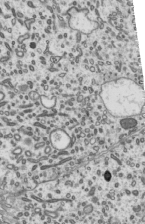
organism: Mouse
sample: Mouse epididymis efferent ductule cilia